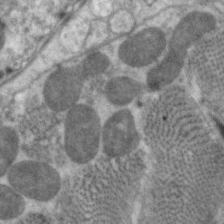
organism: C. elegans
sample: Pharynx